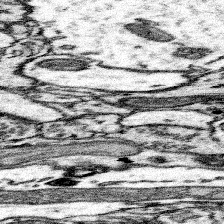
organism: Mouse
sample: Somatosensory cortex neuropil